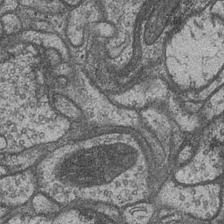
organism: Drosophila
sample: Optic medulla